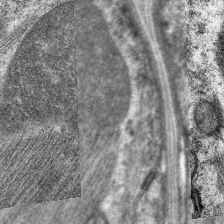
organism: C. elegans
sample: Pharynx